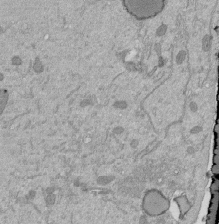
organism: Mouse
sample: ED-1 cell nuclei; centrioles